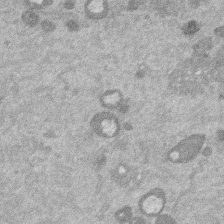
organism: Mouse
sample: Dividing mouse embryo 1 cell stage